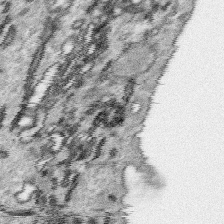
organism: Human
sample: HeLa cells